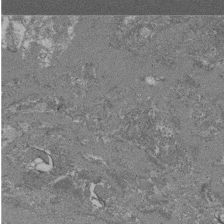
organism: Mouse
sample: Glomerulus